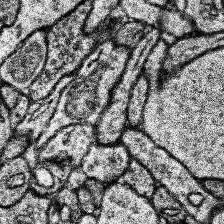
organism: Human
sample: Temporal Lobe